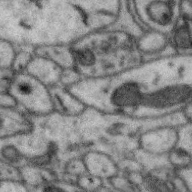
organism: Zebra finch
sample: Brain